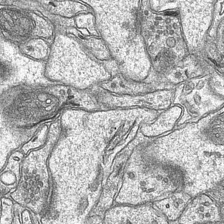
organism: Mouse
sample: CA1 Hippocampus